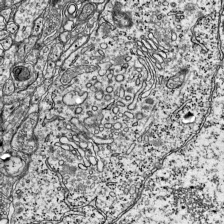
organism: Mouse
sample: Visual Cortex